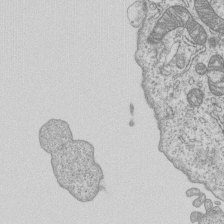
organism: Human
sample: MDA-MB-231 cells